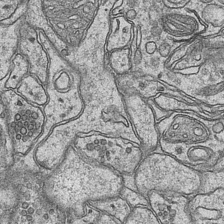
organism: Mouse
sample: CA1 Hippocampus